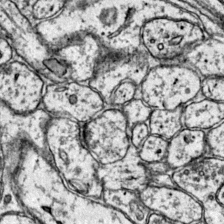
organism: Mouse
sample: Primary visual cortex